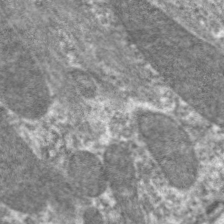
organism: C. elegans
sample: Pharynx